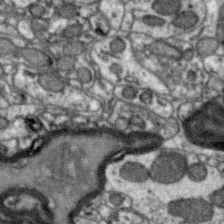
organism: Zebra finch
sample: Brain